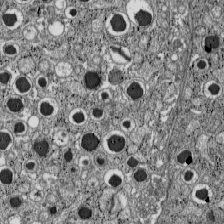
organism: C57BL Mouse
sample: Pancreatic islet